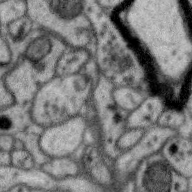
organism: Zebra finch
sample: Brain